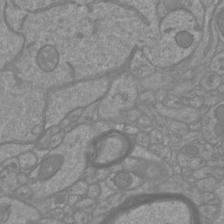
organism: Mouse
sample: Cortical neurons